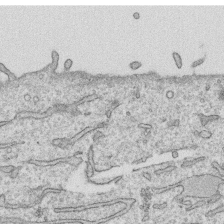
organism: Human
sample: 1205lu cells